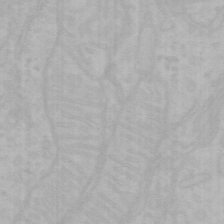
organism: Mouse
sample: Choroid plexus